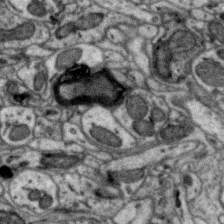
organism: Zebra finch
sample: Brain